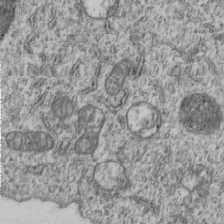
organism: Human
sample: MDA-MB-231 cells